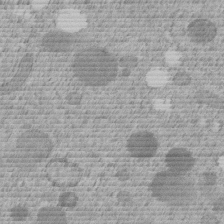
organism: C. elegans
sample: C. elegans embryo early stage